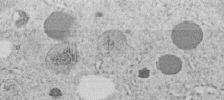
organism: C. elegans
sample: C. elegans embryo early stage